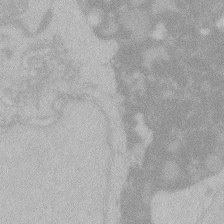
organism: Zebrafish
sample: Macrophage infected with Toxoplasma gondii